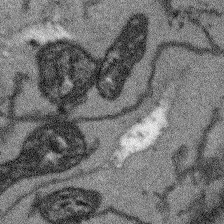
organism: Arabidopsis thaliana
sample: Root tip